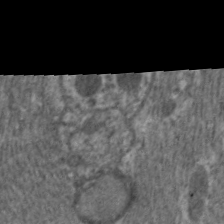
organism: C. elegans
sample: Pharynx